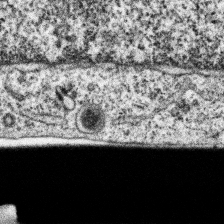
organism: Human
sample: HeLa cells